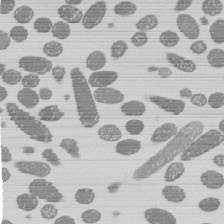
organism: E. coli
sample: Bacterial nucleoid